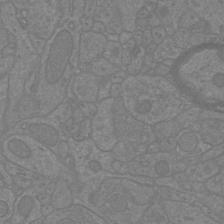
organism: Mouse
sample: Cortical neurons